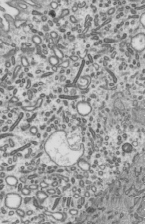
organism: Mouse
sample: Mouse epididymis efferent ductule cilia